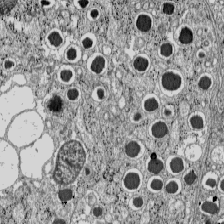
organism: C57BL Mouse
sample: Pancreatic islet